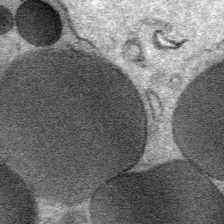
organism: Mouse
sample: Mouse Salivary gland